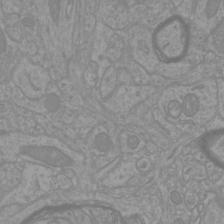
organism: Mouse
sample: Cortical neurons